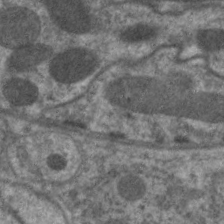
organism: C. elegans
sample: Pharynx